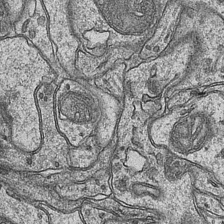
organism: Mouse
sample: CA1 Hippocampus